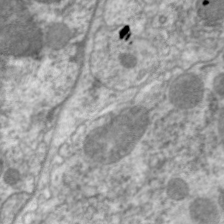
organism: C. elegans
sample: Pharynx